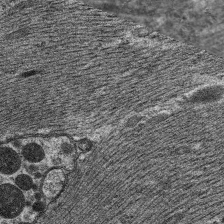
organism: C. elegans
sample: Pharynx